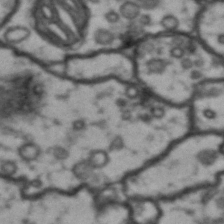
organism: Drosophila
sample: Brain